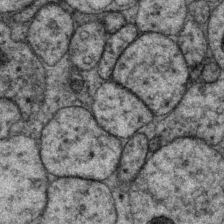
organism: P. pacificus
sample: Pharynx